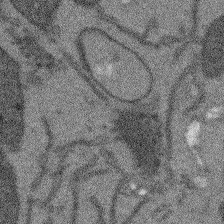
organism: Arabidopsis thaliana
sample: Root tip